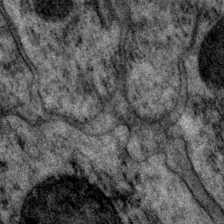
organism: P. pacificus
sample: Pharynx